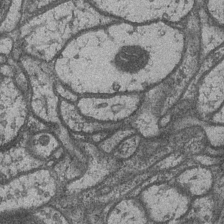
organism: Drosophila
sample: Optic medulla